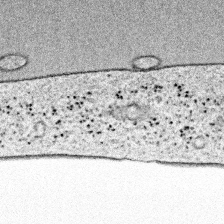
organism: Human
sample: HeLa cells